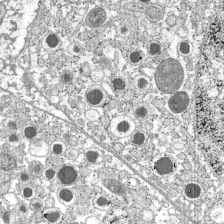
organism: C57BL Mouse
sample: Pancreatic islet